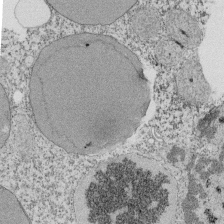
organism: Tetrahymena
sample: Cilia in tetrahymena